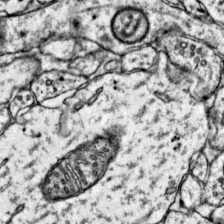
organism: Mouse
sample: Primary visual cortex